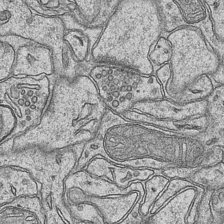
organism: Mouse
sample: CA1 Hippocampus